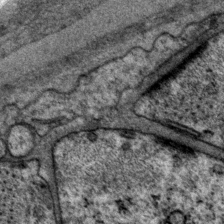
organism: P. pacificus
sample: Pharynx